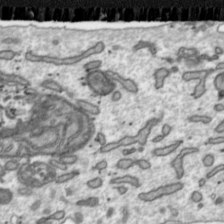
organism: Toxoplasma gondii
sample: Parasites in a vacuole inside a host cell